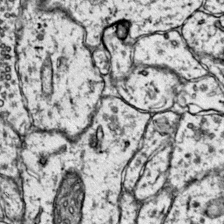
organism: Mouse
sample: Primary visual cortex